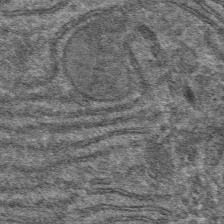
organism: Mouse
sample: Mouse hepatocytes